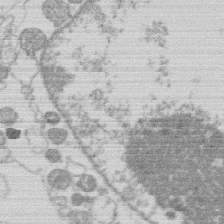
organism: Human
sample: Macrophage cells